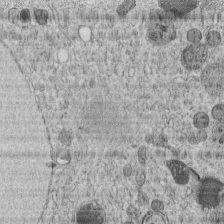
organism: C. elegans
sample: C. elegans embryo early stage